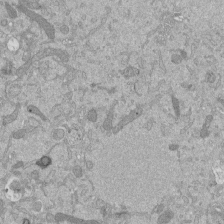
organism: Mouse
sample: ED-1 cell nuclei; centrioles